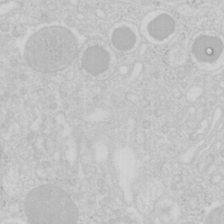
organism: Mouse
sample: Pancreas